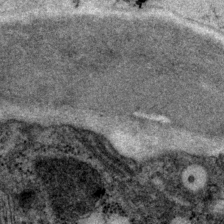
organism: P. pacificus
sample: Pharynx